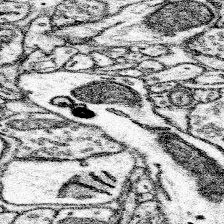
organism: Mouse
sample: Somatosensory cortex neuropil